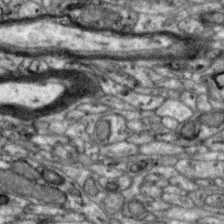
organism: Zebra finch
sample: Brain